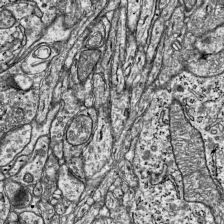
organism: Mouse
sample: Visual Cortex